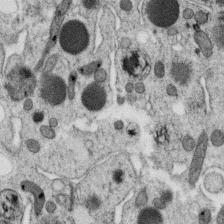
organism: C. elegans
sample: C. elegans oocyte; sperm cells